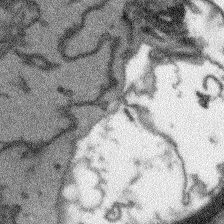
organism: Arabidopsis thaliana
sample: Root tip